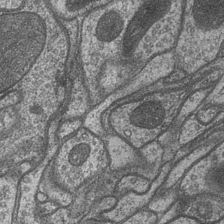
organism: Drosophila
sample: Optic medulla